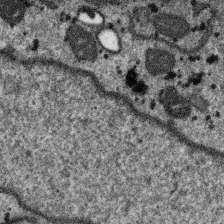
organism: Human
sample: Lung epithelial cells infected with SARS-CoV-2